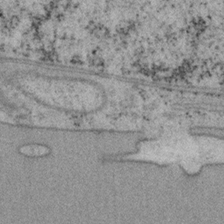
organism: Human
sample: HeLa cells